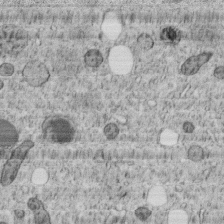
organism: C. elegans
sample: C. elegans embryo early stage